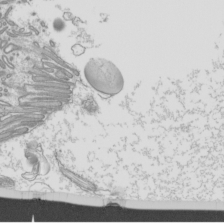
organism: Mouse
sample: Cilia; mouse epididymis